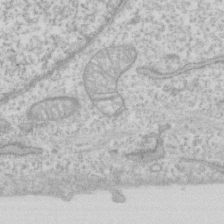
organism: Human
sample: Fibroblast cells